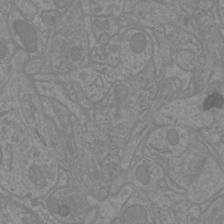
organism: Mouse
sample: Cortical neurons